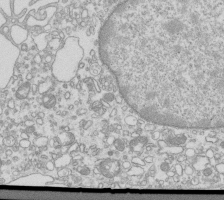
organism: Mouse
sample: Macrophages